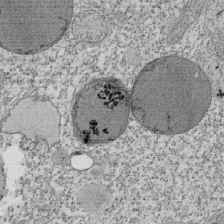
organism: Tetrahymena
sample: Cilia in tetrahymena